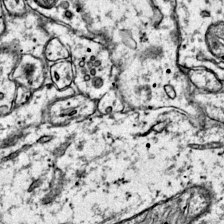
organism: Mouse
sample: Primary visual cortex